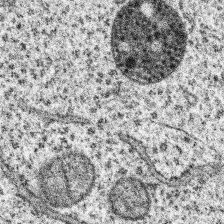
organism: Human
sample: HeLa cells